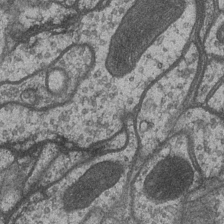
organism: Drosophila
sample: Optic medulla